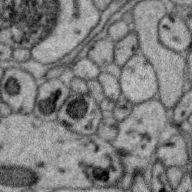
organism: Zebra finch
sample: Brain